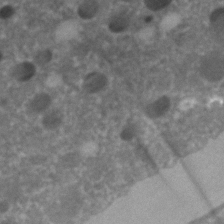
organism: C. elegans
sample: C. elegans embryo